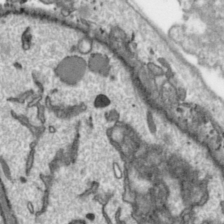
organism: Toxoplasma gondii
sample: Parasites in a vacuole inside a host cell